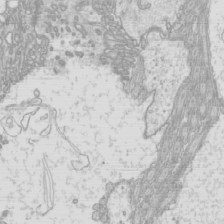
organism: Mouse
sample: Cilia; mouse epididymis